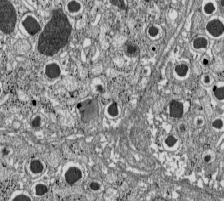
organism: C57BL Mouse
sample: Pancreatic islet